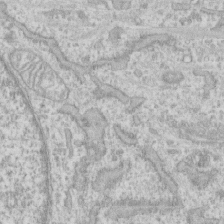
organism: Human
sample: CRL-1474